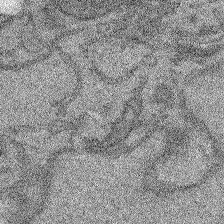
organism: Human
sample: HeLa cells